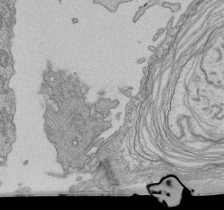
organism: Human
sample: Retinal organoid Rod and Cone cells